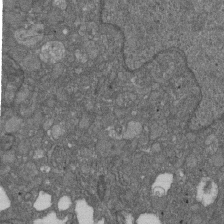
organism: Drosophila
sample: Nephrocyte